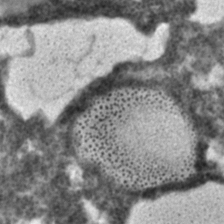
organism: C. elegans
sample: C. elegans embryo